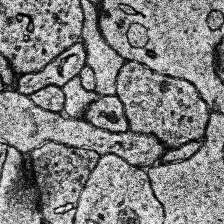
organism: Human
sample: Temporal Lobe